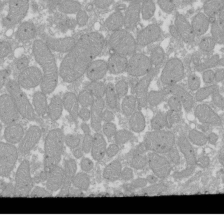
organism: Xenopus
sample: Cilia; centrioles in frog embryo cells